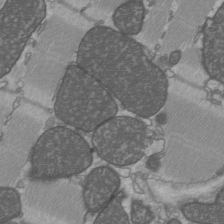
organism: C57BL Mouse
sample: Heart